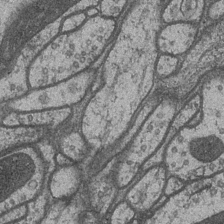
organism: Drosophila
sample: Optic medulla